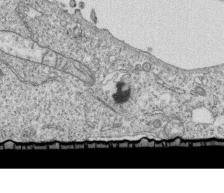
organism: Human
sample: HeLa cell HIV synapse